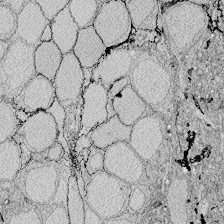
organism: Zebrafish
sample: Whole-Brain